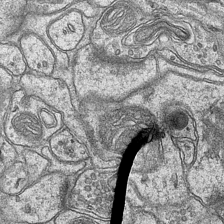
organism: Mouse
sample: CA1 Hippocampus